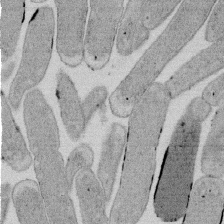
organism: E. coli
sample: Bacterial nucleoid